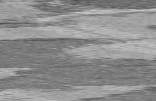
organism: C57BL Mouse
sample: Heart